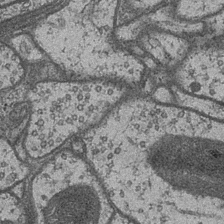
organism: Drosophila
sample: Optic medulla